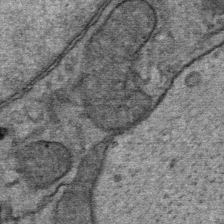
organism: Mouse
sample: Mouse Salivary gland